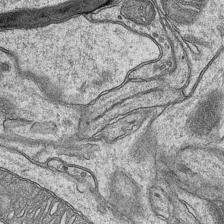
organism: Mouse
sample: CA1 Hippocampus